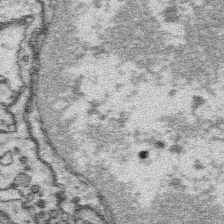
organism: Platynereis dumerilii